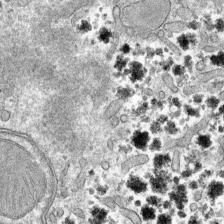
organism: Mouse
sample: Mouse hepatocytes